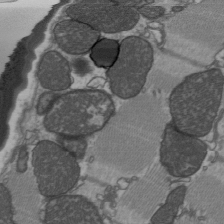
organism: C57BL Mouse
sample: Heart